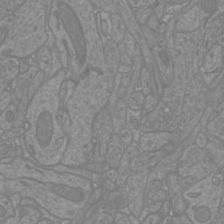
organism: Mouse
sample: Cortical neurons